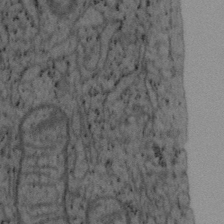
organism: Human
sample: HeLa cells